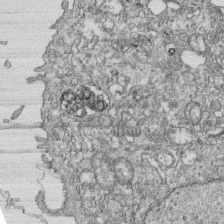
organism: Human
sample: HeLa cell HIV synapse